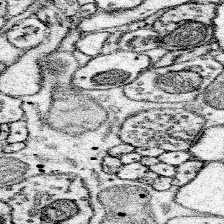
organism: Mouse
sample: Somatosensory cortex neuropil